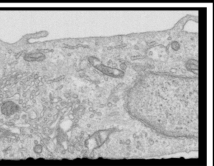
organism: Human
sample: Centriole in RPE cells